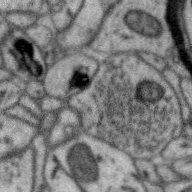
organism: Zebra finch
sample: Brain